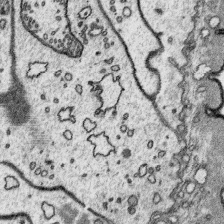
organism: Platynereis dumerilii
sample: Parapodia